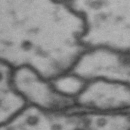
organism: Drosophila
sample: Brain